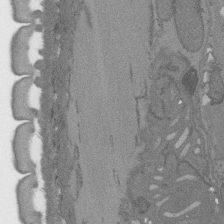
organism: C. elegans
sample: AFD neurons C. elegans